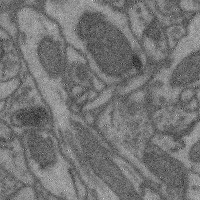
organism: Mouse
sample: Cerebral cortex